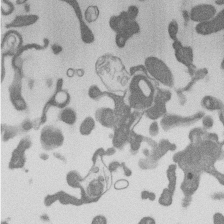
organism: Mouse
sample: Dividing mouse embryo 1 cell stage